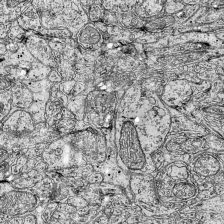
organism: Mouse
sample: Visual Cortex